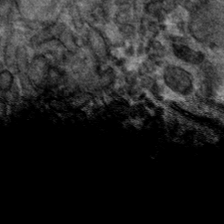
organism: Mouse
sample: Mouse hepatocytes